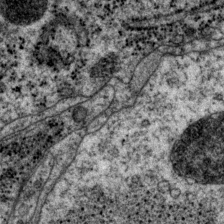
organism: P. pacificus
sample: Pharynx